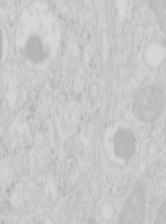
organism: Mouse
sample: Pancreas